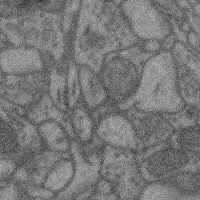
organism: Mouse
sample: Cerebral cortex